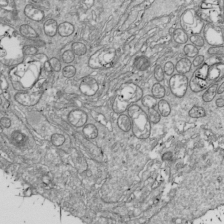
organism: Drosophila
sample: Cell division; meiosis; drosophila spermatocytes